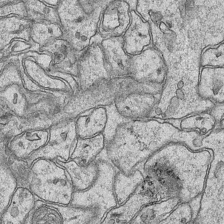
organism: Mouse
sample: CA1 Hippocampus